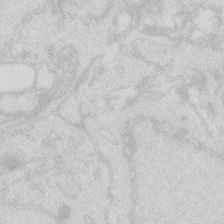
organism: Zebrafish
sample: Macrophage